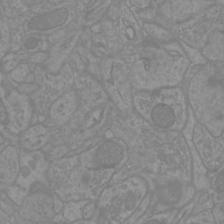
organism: Mouse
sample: Cortical neurons